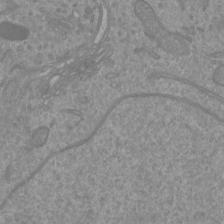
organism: Mouse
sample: Cortical neurons